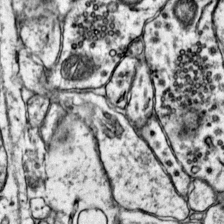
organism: Mouse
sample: Primary visual cortex